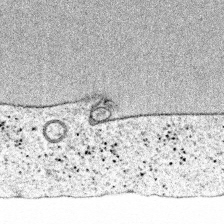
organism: Human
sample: HeLa cells